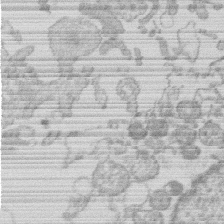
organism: Human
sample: Macrophage cells